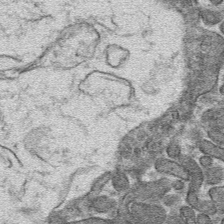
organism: Mouse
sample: Mouse hepatocytes